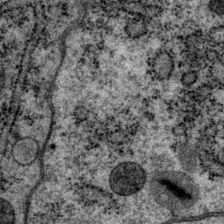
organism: P. pacificus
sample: Pharynx